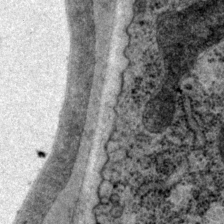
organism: P. pacificus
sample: Pharynx